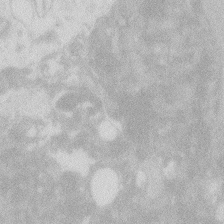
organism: Zebrafish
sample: Macrophage